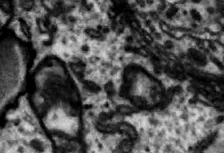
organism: Human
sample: HeLa cells